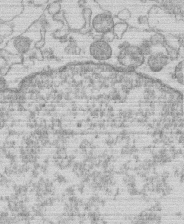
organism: Human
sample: Macrophage cells